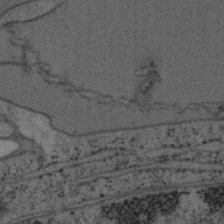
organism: Human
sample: HeLa cells